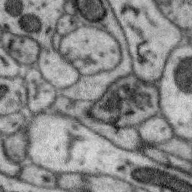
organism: Zebra finch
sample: Brain